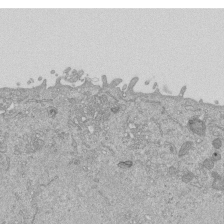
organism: Mouse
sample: ED-1 cell nuclei; centrioles